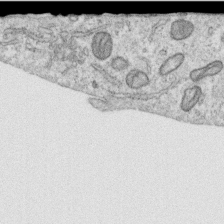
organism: Human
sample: Centriole in RPE cells